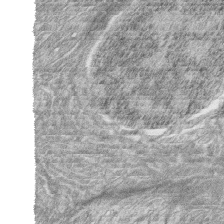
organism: Zebrafish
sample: synaptic ribbons in rod cells and cone cells